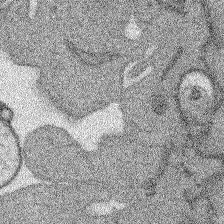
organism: Human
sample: HeLa cells